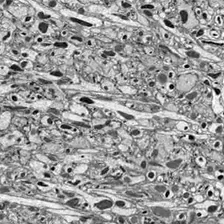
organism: Drosophila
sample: Optic lobe